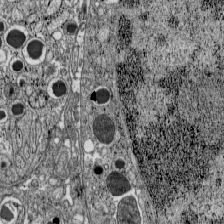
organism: C57BL Mouse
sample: Pancreatic islet